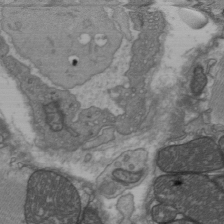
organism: C57BL Mouse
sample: Heart